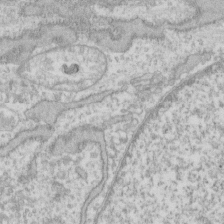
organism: Human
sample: Fibroblast cells